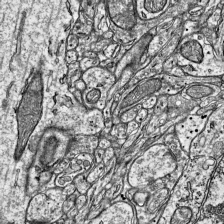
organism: Mouse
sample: Visual Cortex